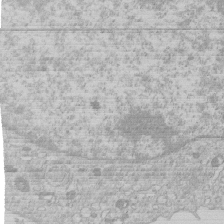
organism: Human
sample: Macrophage cells